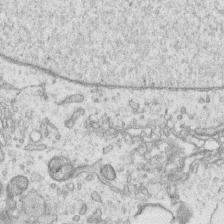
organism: Human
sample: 1205lu cells